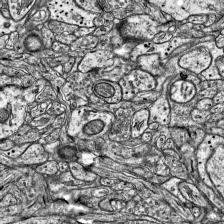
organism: Mouse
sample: Visual Cortex